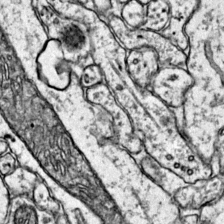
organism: Mouse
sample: Primary visual cortex